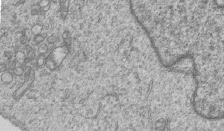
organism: Human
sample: MDA-MB-231 cells